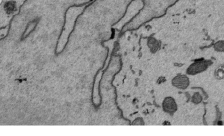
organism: Mouse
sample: ED-1 cell nuclei; centrioles